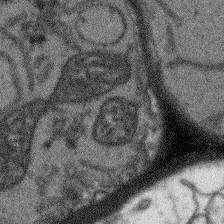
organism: Arabidopsis thaliana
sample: Root tip